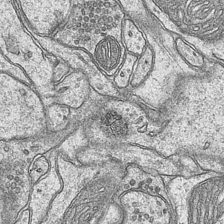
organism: Mouse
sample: CA1 Hippocampus